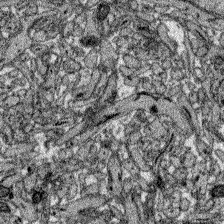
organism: Zebrafish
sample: Larval olfactory bulb